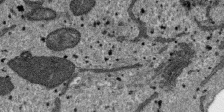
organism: Human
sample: Lung epithelial cells, uninfected (mock) control